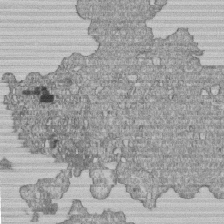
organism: Human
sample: MDA-MB-231 cells